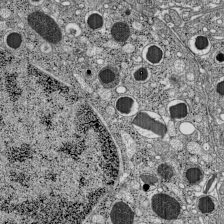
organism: C57BL Mouse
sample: Pancreatic islet